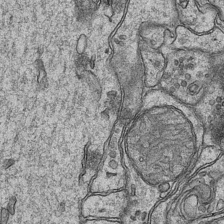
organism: Mouse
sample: CA1 Hippocampus